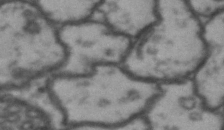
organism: Drosophila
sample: Brain